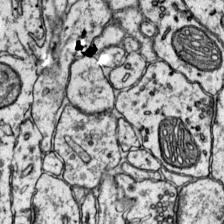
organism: Mouse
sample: Primary visual cortex